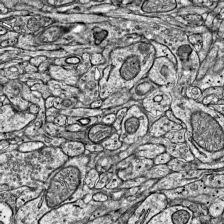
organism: Mouse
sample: Visual Cortex